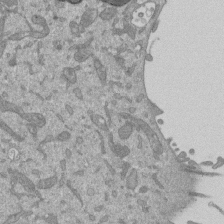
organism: Mouse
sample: ED-1 cell nuclei; centrioles